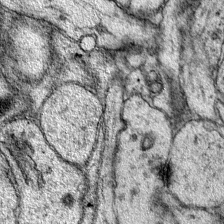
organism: Mouse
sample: Primary visual cortex